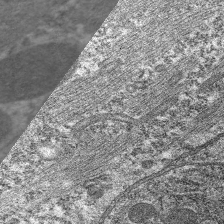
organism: C. elegans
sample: Pharynx